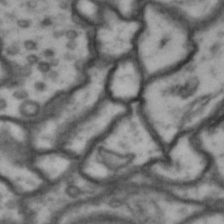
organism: Drosophila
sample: Brain